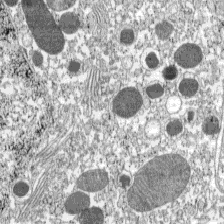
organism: C57BL Mouse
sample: Pancreatic islet